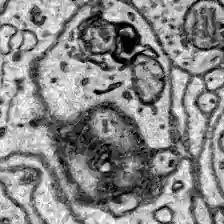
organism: Zebrafish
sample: Brain